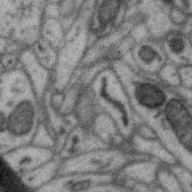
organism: Zebra finch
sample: Brain